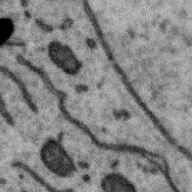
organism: Zebra finch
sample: Brain